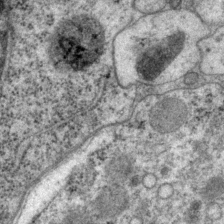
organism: P. pacificus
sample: Pharynx